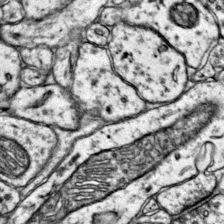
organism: Mouse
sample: Primary visual cortex